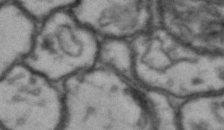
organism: Drosophila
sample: Brain